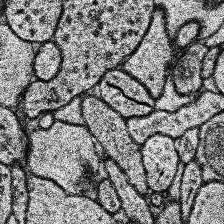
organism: Human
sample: Temporal Lobe